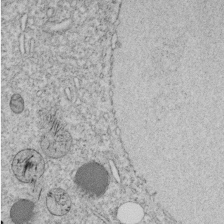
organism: C. elegans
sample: C. elegans embryo early stage